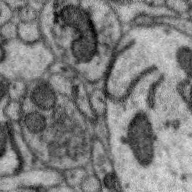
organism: Zebra finch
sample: Brain